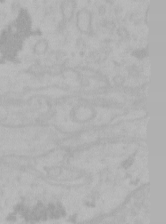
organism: Mouse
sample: Choroid plexus